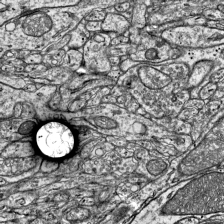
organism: Mouse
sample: Visual Cortex